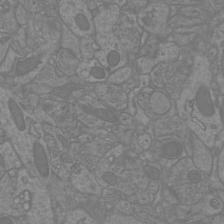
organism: Mouse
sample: Cortical neurons